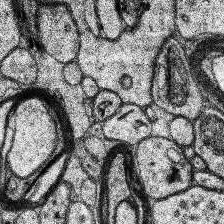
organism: Human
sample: Temporal Lobe